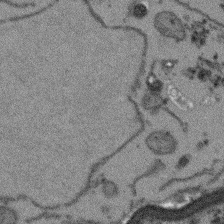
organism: Arabidopsis thaliana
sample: Root tip